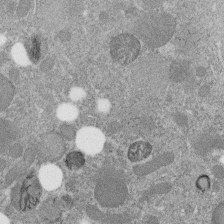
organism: C. elegans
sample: C. elegans embryo early stage